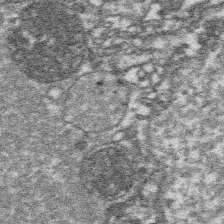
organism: Platynereis dumerilii